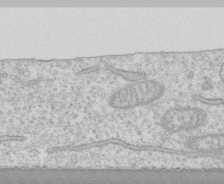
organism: Human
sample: CRL-1474